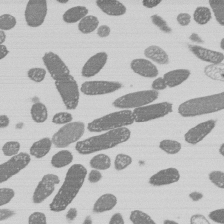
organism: E. coli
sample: Bacterial nucleoid